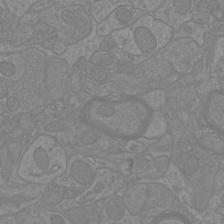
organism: Mouse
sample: Cortical neurons